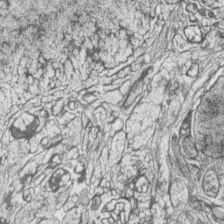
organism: Zebrafish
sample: synaptic ribbons in rod cells and cone cells